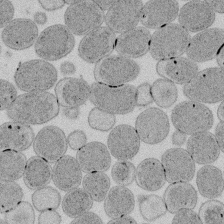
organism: E. coli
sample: Bacterial nucleoid